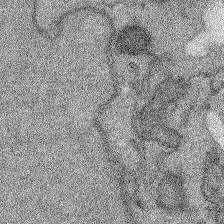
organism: Human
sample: HeLa cells